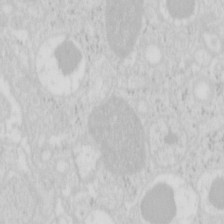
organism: Mouse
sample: Pancreas